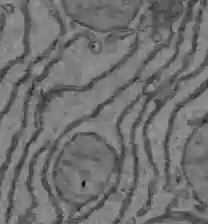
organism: C57BL Mouse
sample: Liver